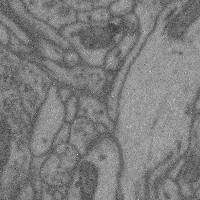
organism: Mouse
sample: Cerebral cortex